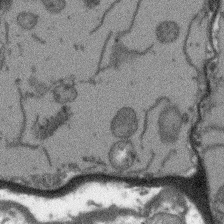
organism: Arabidopsis thaliana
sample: Root tip